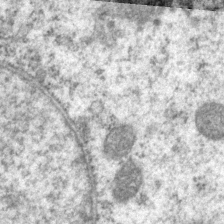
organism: P. pacificus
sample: Pharynx